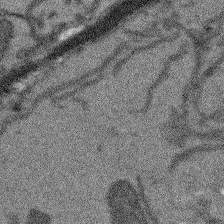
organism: Arabidopsis thaliana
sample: Root tip